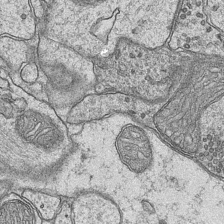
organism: Mouse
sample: CA1 Hippocampus